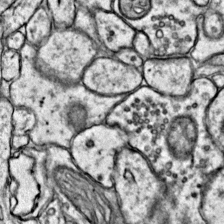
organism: Mouse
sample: Primary visual cortex